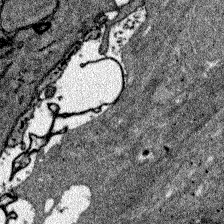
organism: Zebrafish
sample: Larval olfactory bulb